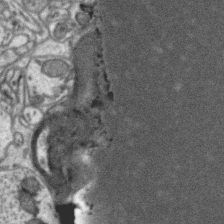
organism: Zebra finch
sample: Brain